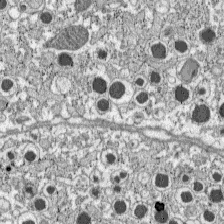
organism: C57BL Mouse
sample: Pancreatic islet